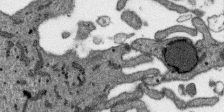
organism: Human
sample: Lung epithelial cells, uninfected (mock) control